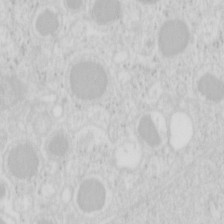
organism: Mouse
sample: Pancreas